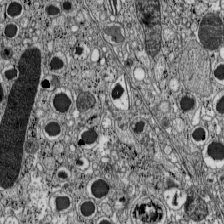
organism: C57BL Mouse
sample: Pancreatic islet